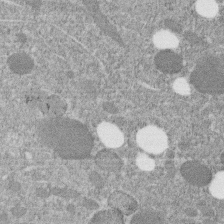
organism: C. elegans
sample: C. elegans embryo early stage